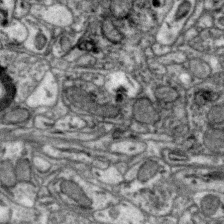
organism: Zebra finch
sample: Brain